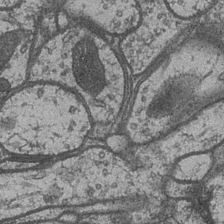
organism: Drosophila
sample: Optic medulla